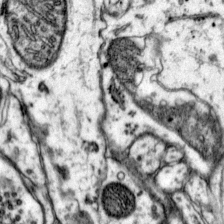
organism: Mouse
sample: Primary visual cortex